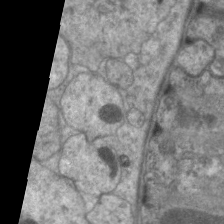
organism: C. elegans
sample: Pharynx